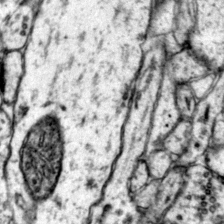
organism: Mouse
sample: Primary visual cortex